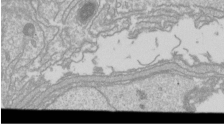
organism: Drosophila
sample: Cell division; meiosis; drosophila spermatocytes